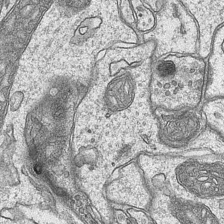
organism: Mouse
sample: CA1 Hippocampus